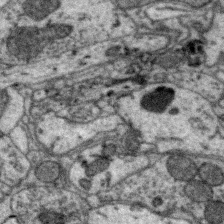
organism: Zebra finch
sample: Brain